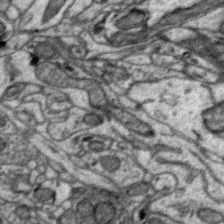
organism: Zebra finch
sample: Brain